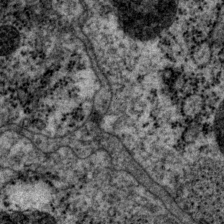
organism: P. pacificus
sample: Pharynx